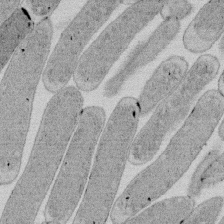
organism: E. coli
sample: Bacterial nucleoid